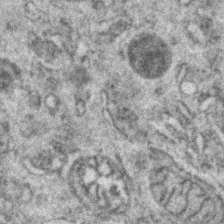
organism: Zebrafish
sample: Zebrafish embryo